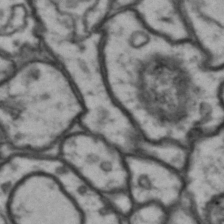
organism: Drosophila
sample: Brain